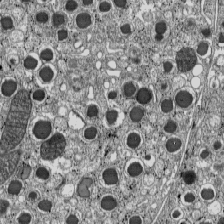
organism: C57BL Mouse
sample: Pancreatic islet